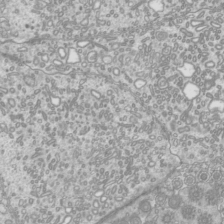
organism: Mouse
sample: Cilia; mouse epididymis